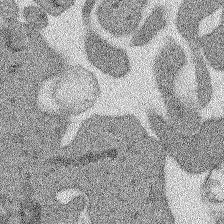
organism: Human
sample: HeLa cells